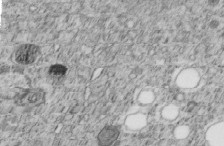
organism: C. elegans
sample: C. elegans embryo early stage